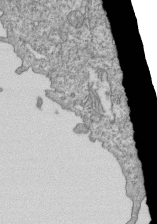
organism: Human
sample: HeLa cell HIV synapse